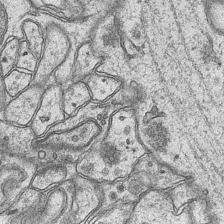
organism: Mouse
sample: CA1 Hippocampus